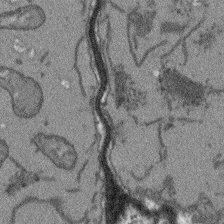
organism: Arabidopsis thaliana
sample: Root tip